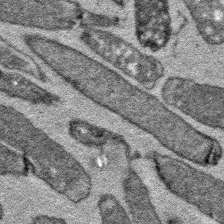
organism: E. coli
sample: E. Coli Bacteria